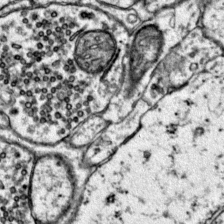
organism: Mouse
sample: Primary visual cortex